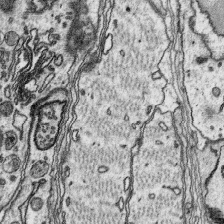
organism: Platynereis dumerilii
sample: Parapodia